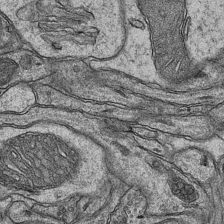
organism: Mouse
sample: CA1 Hippocampus